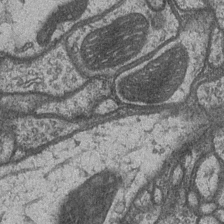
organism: Drosophila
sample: Optic medulla